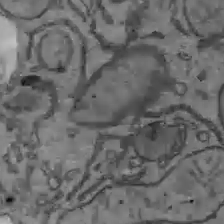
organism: C57BL Mouse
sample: Liver